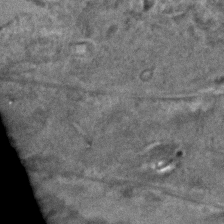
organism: C. elegans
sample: C. elegans embryo